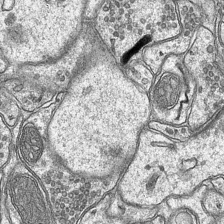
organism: Mouse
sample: CA1 Hippocampus